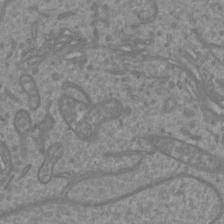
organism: Mouse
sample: Cortical neurons